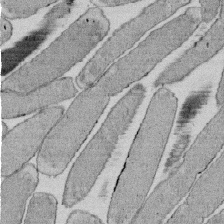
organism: E. coli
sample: Bacterial nucleoid